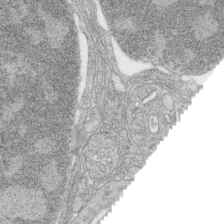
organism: Zebrafish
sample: synaptic ribbons in rod cells and cone cells